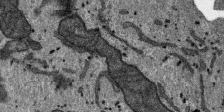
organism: Human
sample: Lung epithelial cells, uninfected (mock) control